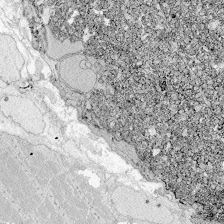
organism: Zebrafish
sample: Whole-Brain